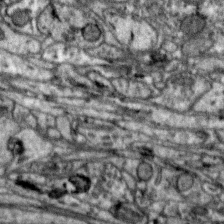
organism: Zebra finch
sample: Brain